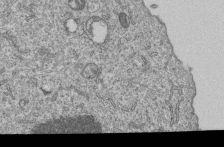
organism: Human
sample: MDA-MB-231 cells